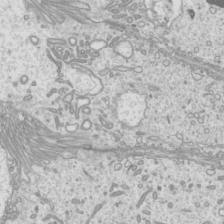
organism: Mouse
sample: Cilia; mouse epididymis